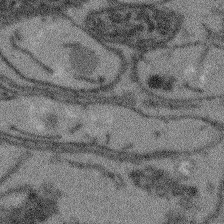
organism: Arabidopsis thaliana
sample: Root tip